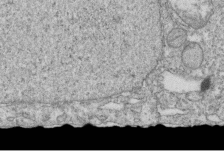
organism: Human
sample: HeLa cell HIV synapse